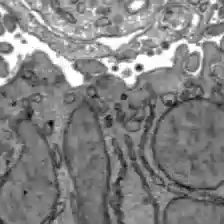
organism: C57BL Mouse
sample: Liver